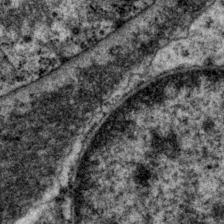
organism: P. pacificus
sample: Pharynx